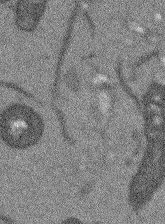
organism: Arabidopsis thaliana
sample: Root tip